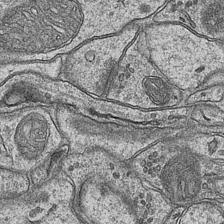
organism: Mouse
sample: CA1 Hippocampus